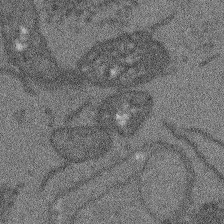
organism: Arabidopsis thaliana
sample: Root tip